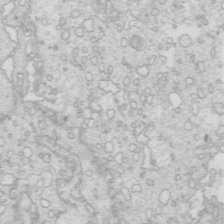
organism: Mouse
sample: Multiciliated cells